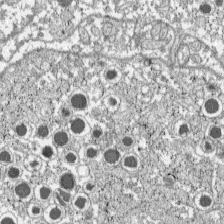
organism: C57BL Mouse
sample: Pancreatic islet